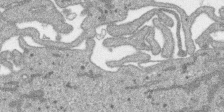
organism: Human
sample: Lung epithelial cells infected with SARS-CoV-2